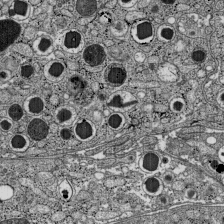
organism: C57BL Mouse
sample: Pancreatic islet